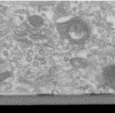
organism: Human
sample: Centriole in RPE cells